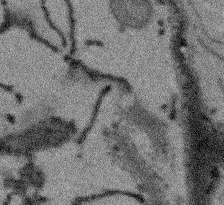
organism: Arabidopsis thaliana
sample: Root tip